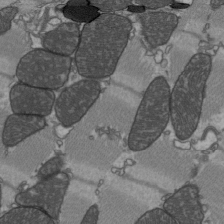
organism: C57BL Mouse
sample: Heart